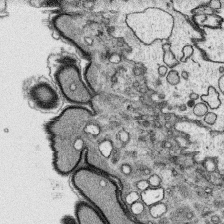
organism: Platynereis dumerilii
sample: Parapodia